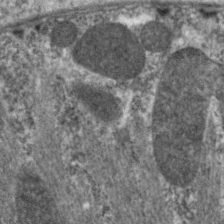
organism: C. elegans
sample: Pharynx